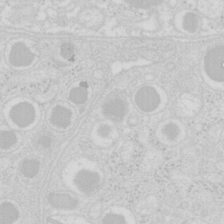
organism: Mouse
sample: Pancreas